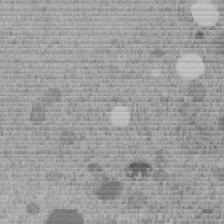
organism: C. elegans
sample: C. elegans embryo early stage